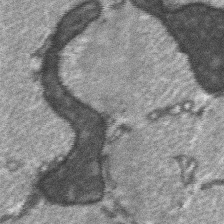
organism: C57BL Mouse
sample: Soleus